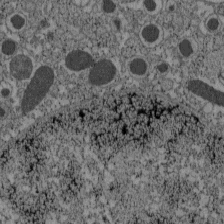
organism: C57BL Mouse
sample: Pancreatic islet